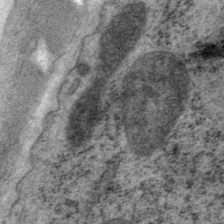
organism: P. pacificus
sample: Pharynx